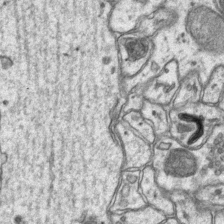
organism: Mouse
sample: CA1 Hippocampus